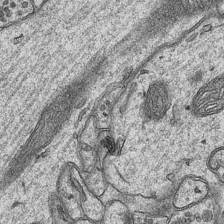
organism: Mouse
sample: CA1 Hippocampus